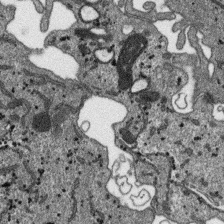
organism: Human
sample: Lung epithelial cells infected with SARS-CoV-2